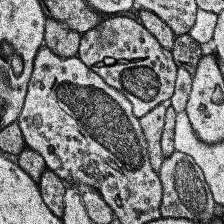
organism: Human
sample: Temporal Lobe